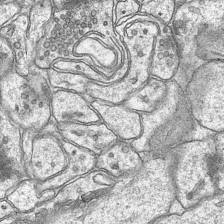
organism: Mouse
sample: CA1 Hippocampus